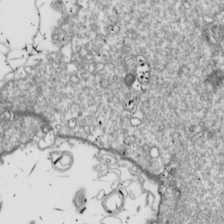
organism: Drosophila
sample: Cell division; meiosis; drosophila spermatocytes